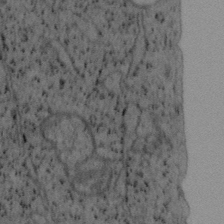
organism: Human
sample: HeLa cells